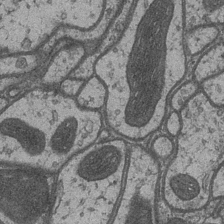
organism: Drosophila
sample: Optic medulla